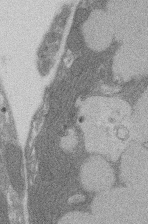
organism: Rat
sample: Salivary granule